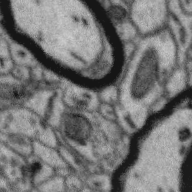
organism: Zebra finch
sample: Brain